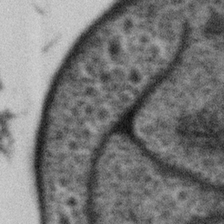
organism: Gemmata obscuriglobus